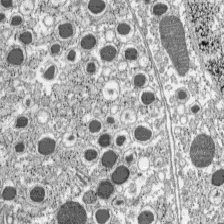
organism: C57BL Mouse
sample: Pancreatic islet